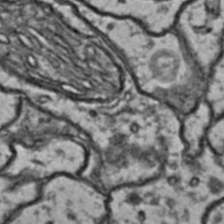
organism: Drosophila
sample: Brain